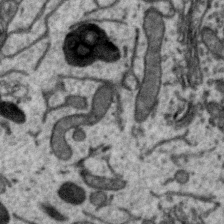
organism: Zebra finch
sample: Brain